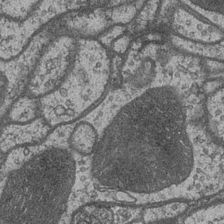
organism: Drosophila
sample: Optic medulla